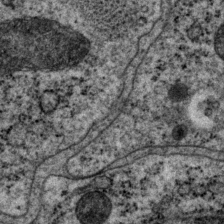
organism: P. pacificus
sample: Pharynx